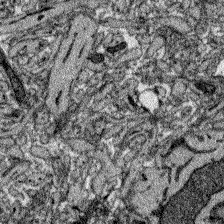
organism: Zebrafish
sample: Larval olfactory bulb